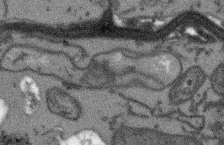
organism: Arabidopsis thaliana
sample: Root tip